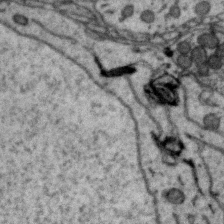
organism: Zebra finch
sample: Brain